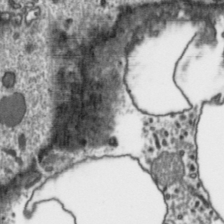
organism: Toxoplasma gondii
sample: Parasites in a vacuole inside a host cell